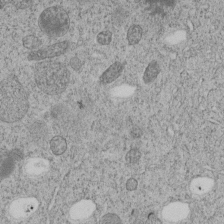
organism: C. elegans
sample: C. elegans embryo early stage